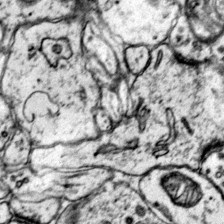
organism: Mouse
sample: Primary visual cortex